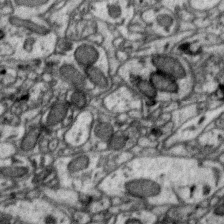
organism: Zebra finch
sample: Brain